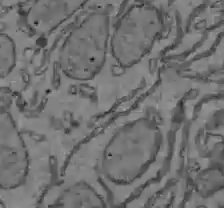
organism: C57BL Mouse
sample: Liver